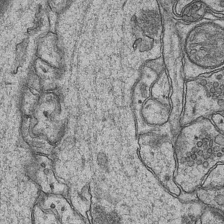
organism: Mouse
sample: CA1 Hippocampus